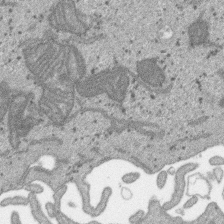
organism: Human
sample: Lung epithelial cells infected with SARS-CoV-2